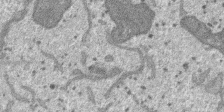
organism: Human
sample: Lung epithelial cells infected with SARS-CoV-2